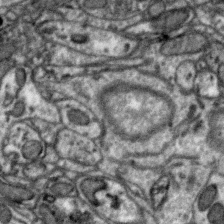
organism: Zebra finch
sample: Brain